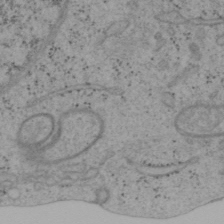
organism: Human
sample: HeLa cells